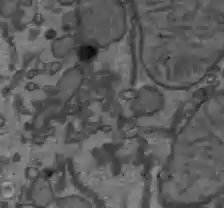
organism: C57BL Mouse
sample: Liver